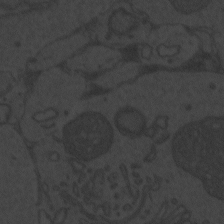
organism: Zebrafish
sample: Macrophage infected with Toxoplasma gondii